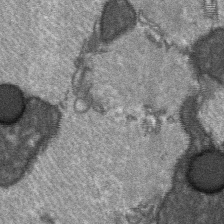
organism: C57BL Mouse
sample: Soleus